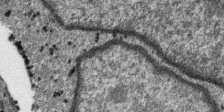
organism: Human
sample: Lung epithelial cells infected with SARS-CoV-2